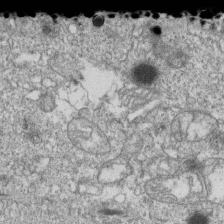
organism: Human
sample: HeLa cell HIV synapse